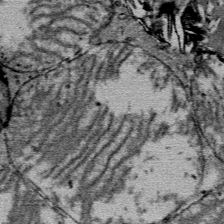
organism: Mouse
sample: Mouse Salivary gland